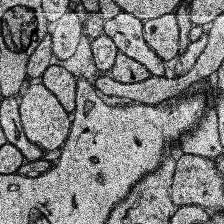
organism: Human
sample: Temporal Lobe